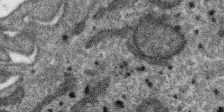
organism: Human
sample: Lung epithelial cells infected with SARS-CoV-2